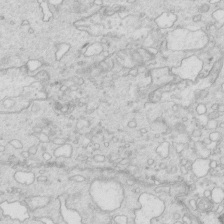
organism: Mouse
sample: Multiciliated cells